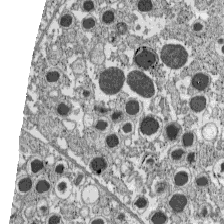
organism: C57BL Mouse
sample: Pancreatic islet